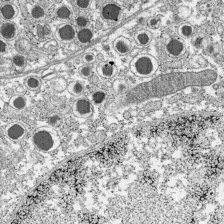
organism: C57BL Mouse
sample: Pancreatic islet